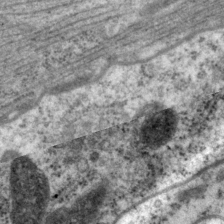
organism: P. pacificus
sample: Pharynx